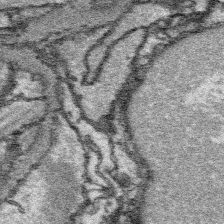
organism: Platynereis dumerilii